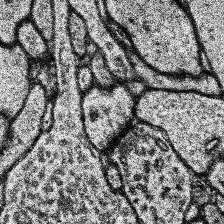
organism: Human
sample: Temporal Lobe